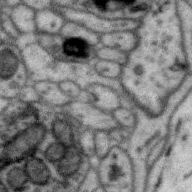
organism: Zebra finch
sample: Brain